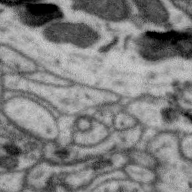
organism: Zebra finch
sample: Brain